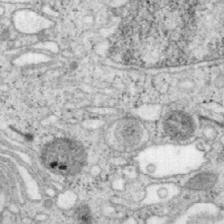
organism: Mouse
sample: OT-I killer T cells with ID8 ovarian cancer cells